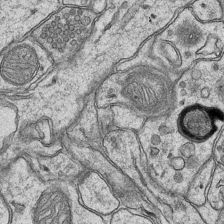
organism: Mouse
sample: CA1 Hippocampus